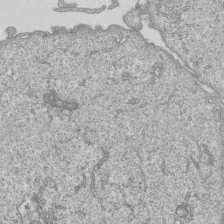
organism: Human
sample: MDA-MB-231 cells